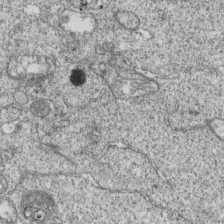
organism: Human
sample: HeLa cell HIV synapse